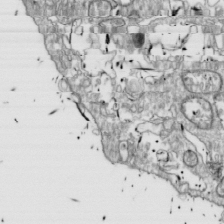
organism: Drosophila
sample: Cell division; meiosis; drosophila spermatocytes